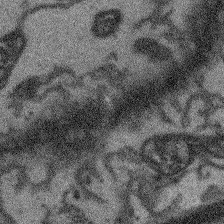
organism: Arabidopsis thaliana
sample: Root tip